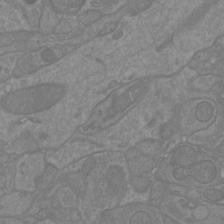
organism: Mouse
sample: Cortical neurons